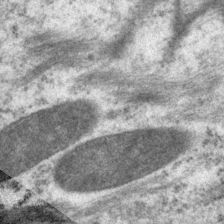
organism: P. pacificus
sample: Pharynx